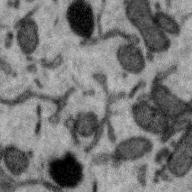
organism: Zebra finch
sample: Brain